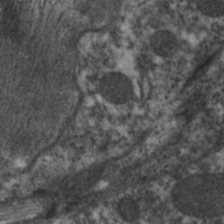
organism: C. elegans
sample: Pharynx